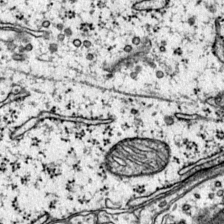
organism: Mouse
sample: Primary visual cortex